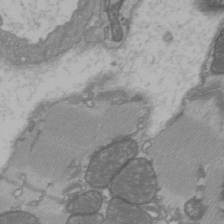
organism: C57BL Mouse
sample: Heart